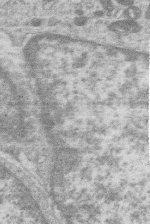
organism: Human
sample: Macrophage cells